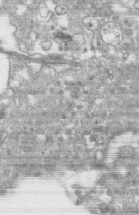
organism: Human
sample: CRL-1474